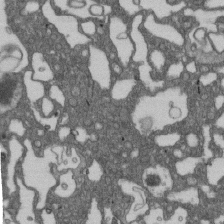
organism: Drosophila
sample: Nephrocyte